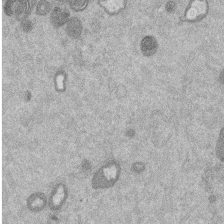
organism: Mouse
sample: Dividing mouse embryo 1 cell stage